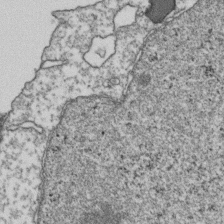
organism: Human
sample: Activated Jurkat CD4+ T cells